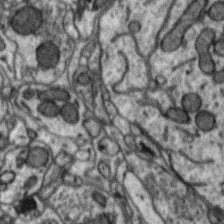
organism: Zebra finch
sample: Brain